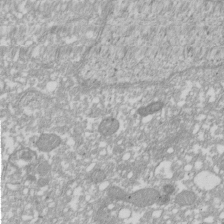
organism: Xenopus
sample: Cilia; centrioles in frog embryo cells